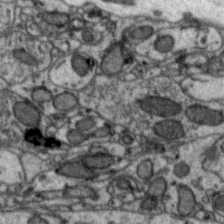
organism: Zebra finch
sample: Brain